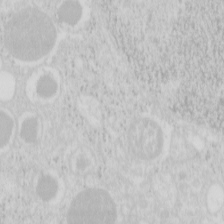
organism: Mouse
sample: Pancreas